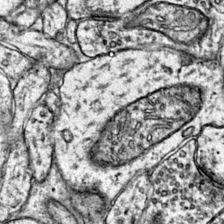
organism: Mouse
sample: Primary visual cortex